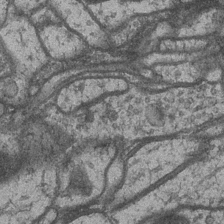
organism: Drosophila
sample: Optic medulla